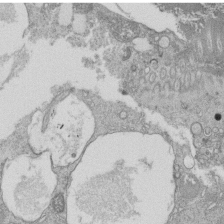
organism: Tetrahymena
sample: Cilia in tetrahymena